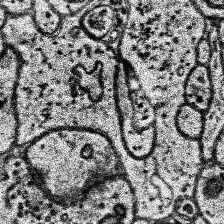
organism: Human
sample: Temporal Lobe